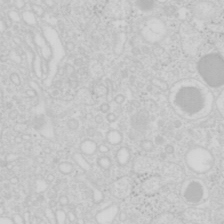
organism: Mouse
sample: Pancreas